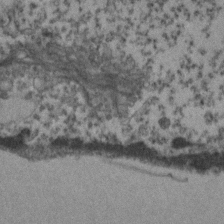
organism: Zebrafish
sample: Zebrafish embryo